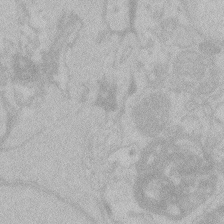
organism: Zebrafish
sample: Macrophage infected with Toxoplasma gondii